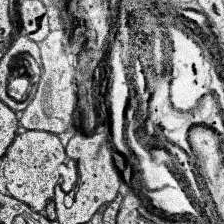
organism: Human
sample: Temporal Lobe